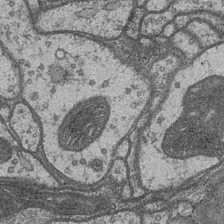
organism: Drosophila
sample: Optic medulla